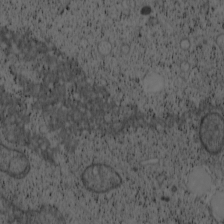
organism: African green monkey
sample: COS-7 cells